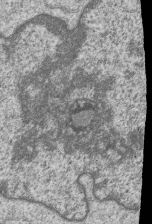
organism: Human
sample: MDA-MB-231 cells